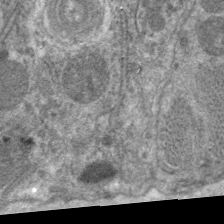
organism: C. elegans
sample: Pharynx